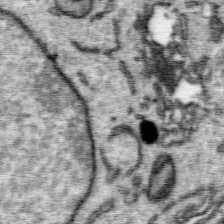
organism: Human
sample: HeLa cells